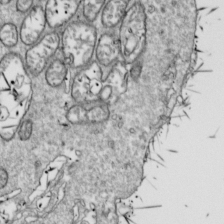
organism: Drosophila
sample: Cell division; meiosis; drosophila spermatocytes